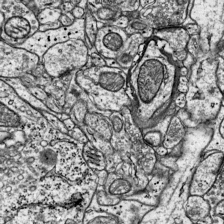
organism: Mouse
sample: Visual Cortex